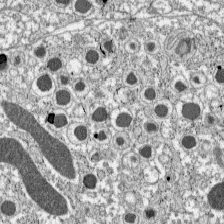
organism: C57BL Mouse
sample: Pancreatic islet